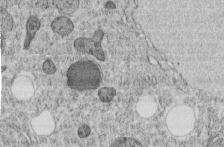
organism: C. elegans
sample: C. elegans embryo early stage